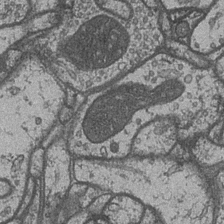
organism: Drosophila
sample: Optic medulla